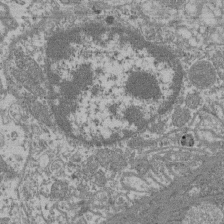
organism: Mouse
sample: Glomerulus